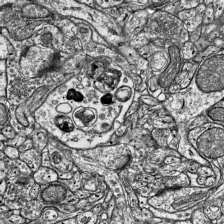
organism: Mouse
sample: Visual Cortex